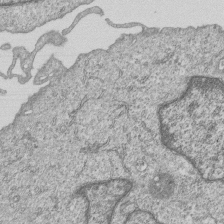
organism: Human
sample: MDA-MB-231 cells